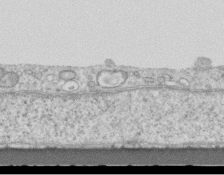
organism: Mouse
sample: Centriole in ependymal cells